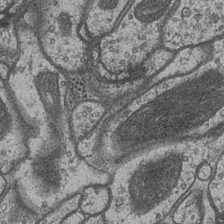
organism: Drosophila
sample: Optic medulla